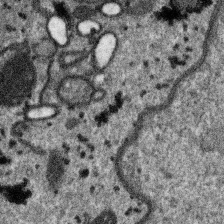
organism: Human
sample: Lung epithelial cells infected with SARS-CoV-2